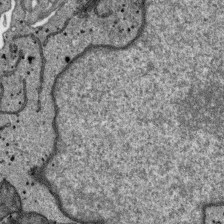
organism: Human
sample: Lung epithelial cells, uninfected (mock) control